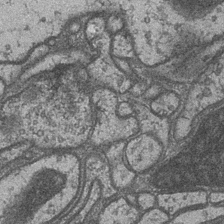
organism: Drosophila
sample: Optic medulla